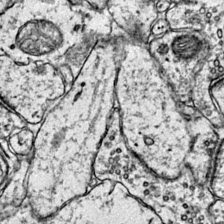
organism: Mouse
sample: Primary visual cortex